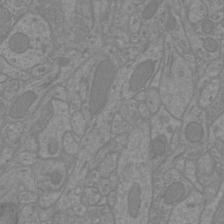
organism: Mouse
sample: Cortical neurons